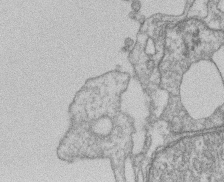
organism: Mouse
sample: T cell stromal cell synapse